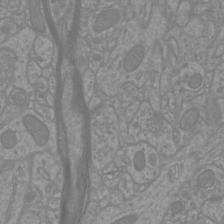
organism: Mouse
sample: Cortical neurons